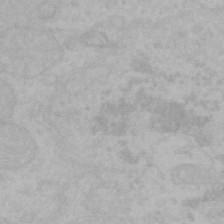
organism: Mouse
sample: Choroid plexus